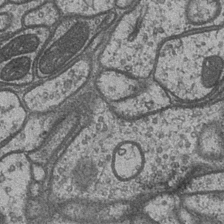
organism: Drosophila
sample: Optic medulla